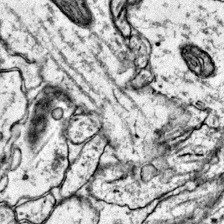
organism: Mouse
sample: Primary visual cortex